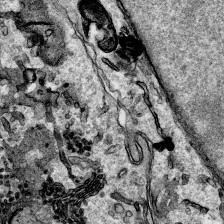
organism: Human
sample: Mitochondria in HCT116 cells